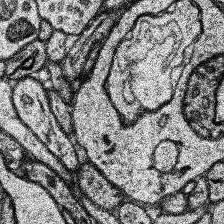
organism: Human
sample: Temporal Lobe